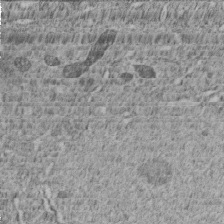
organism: C. elegans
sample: C. elegans embryo early stage